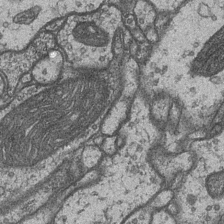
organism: Drosophila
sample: Optic medulla